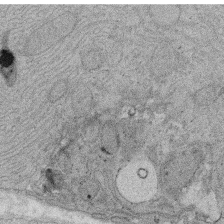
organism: Rat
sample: Salivary granule